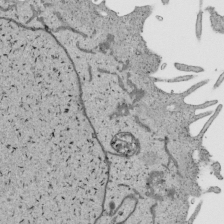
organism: Human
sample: Mitochondria in HCT116 cells